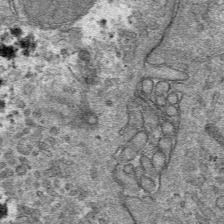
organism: Mouse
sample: Mouse hepatocytes